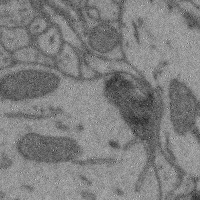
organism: Mouse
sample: Cerebral cortex